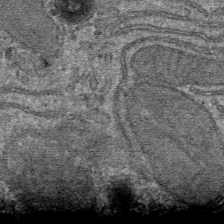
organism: Mouse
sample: Mouse hepatocytes